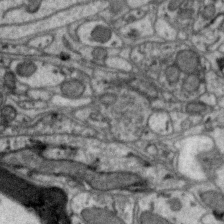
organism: Zebra finch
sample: Brain